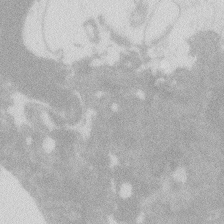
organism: Zebrafish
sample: Macrophage